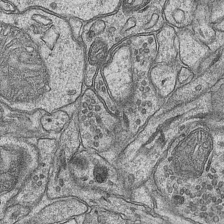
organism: Mouse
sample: CA1 Hippocampus